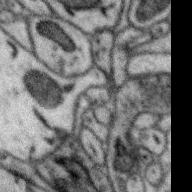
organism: Zebra finch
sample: Brain